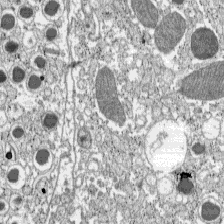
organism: C57BL Mouse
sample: Pancreatic islet